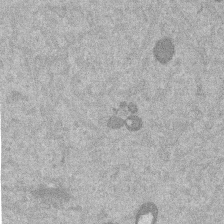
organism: Mouse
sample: Dividing mouse embryo 1 cell stage